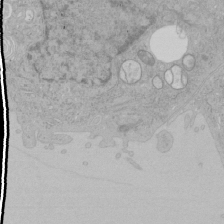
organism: Human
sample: Mitochondria in HCT116 cells